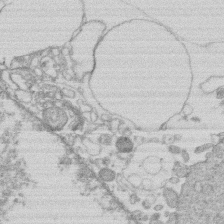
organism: Human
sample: Macrophage cells